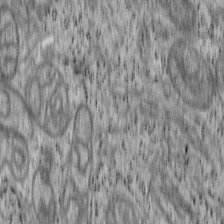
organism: Human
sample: HeLa cells